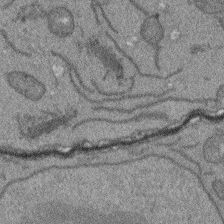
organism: Arabidopsis thaliana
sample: Root tip